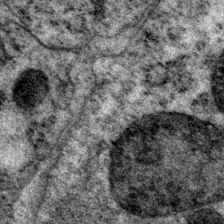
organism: P. pacificus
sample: Pharynx